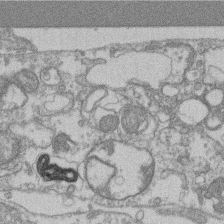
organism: Mouse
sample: T cell stromal cell synapse